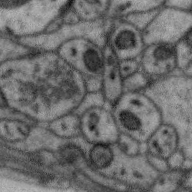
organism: Zebra finch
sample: Brain